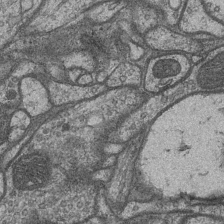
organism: Drosophila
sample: Optic medulla